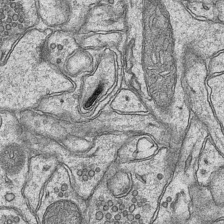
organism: Mouse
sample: CA1 Hippocampus